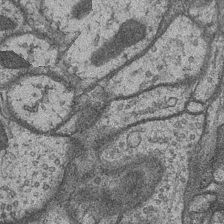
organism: Drosophila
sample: Optic medulla